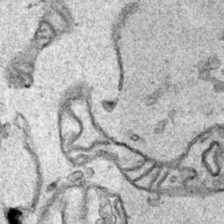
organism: Human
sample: Mitochondria in HCT116 cells